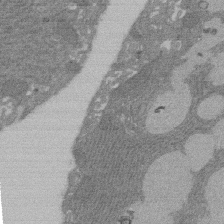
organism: Rat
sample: Salivary granule